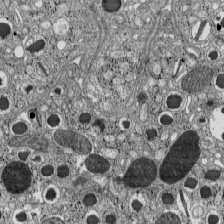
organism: C57BL Mouse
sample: Pancreatic islet